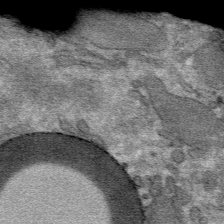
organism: Mouse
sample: Mouse hepatocytes